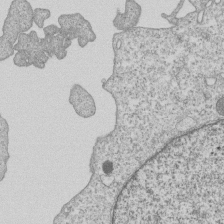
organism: Human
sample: MDA-MB-231 cells